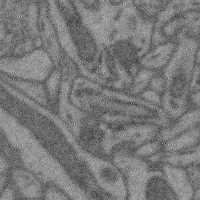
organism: Mouse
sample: Cerebral cortex